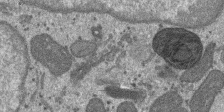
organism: Human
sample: Lung epithelial cells infected with SARS-CoV-2